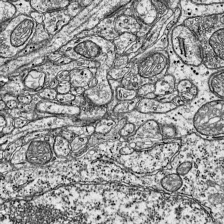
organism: Mouse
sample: Visual Cortex